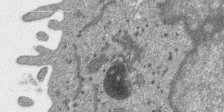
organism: Human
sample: Lung epithelial cells infected with SARS-CoV-2